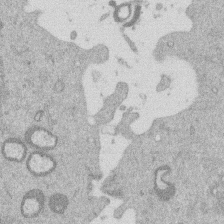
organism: Mouse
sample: Dividing mouse embryo 1 cell stage